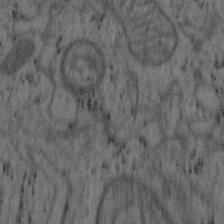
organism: Human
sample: HeLa cells